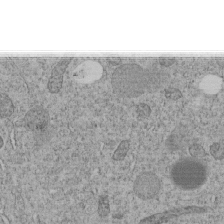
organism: C. elegans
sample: C. elegans embryo early stage